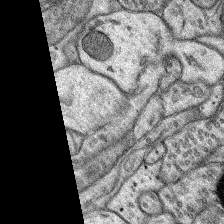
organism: Rat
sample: Hippocampus